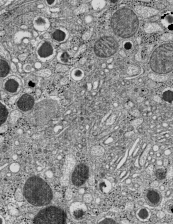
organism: C57BL Mouse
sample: Pancreatic islet